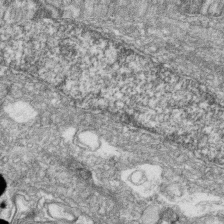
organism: Zebrafish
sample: Cilia; retinal pigment epithelium